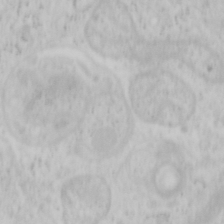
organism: Mouse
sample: OT-I killer T cells with ID8 ovarian cancer cells